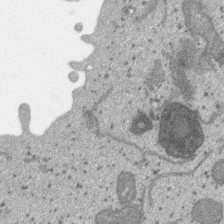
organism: Human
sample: Lung epithelial cells infected with SARS-CoV-2